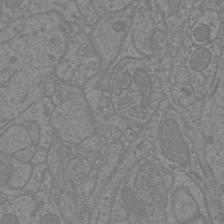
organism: Mouse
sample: Cortical neurons